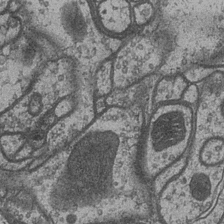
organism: Drosophila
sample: Optic medulla